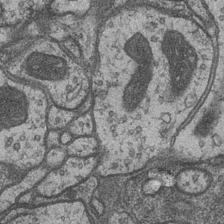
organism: Drosophila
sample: Optic medulla